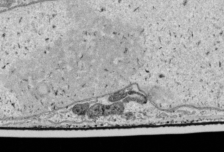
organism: Human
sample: Mitochondria in HCT116 cells